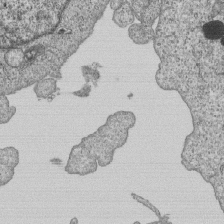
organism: Human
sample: MDA-MB-231 cells